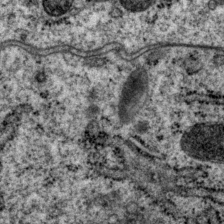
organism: P. pacificus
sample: Pharynx